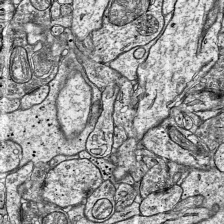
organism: Mouse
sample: Visual Cortex